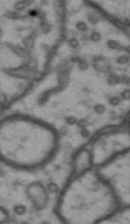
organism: Drosophila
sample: Brain